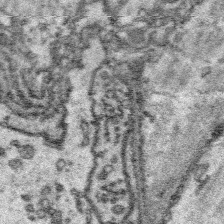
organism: Platynereis dumerilii